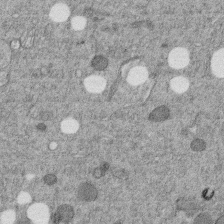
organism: C. elegans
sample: C. elegans embryo early stage